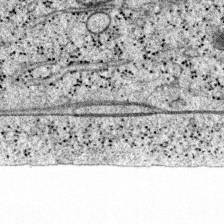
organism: Human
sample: HeLa cells